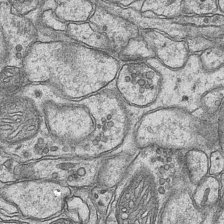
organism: Mouse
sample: CA1 Hippocampus